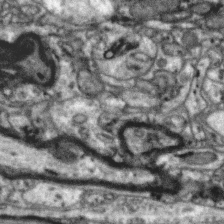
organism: Zebra finch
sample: Brain